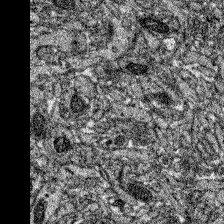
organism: Zebrafish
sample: Larval olfactory bulb